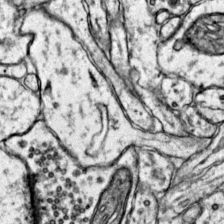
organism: Mouse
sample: Primary visual cortex